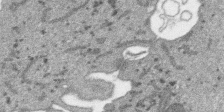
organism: Human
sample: Lung epithelial cells infected with SARS-CoV-2